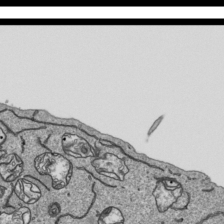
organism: Human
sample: Mitochondria in HCT116 cells